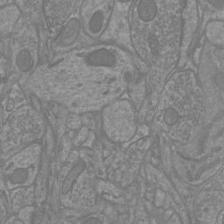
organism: Mouse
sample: Cortical neurons